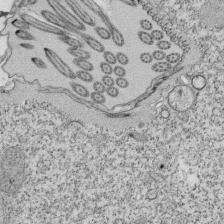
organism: Tetrahymena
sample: Cilia in tetrahymena